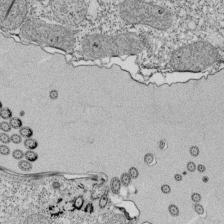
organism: Tetrahymena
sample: Cilia in tetrahymena